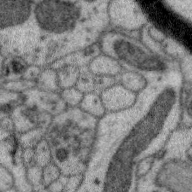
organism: Zebra finch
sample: Brain